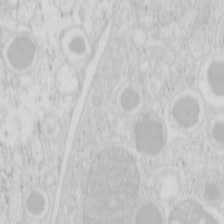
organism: Mouse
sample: Pancreas